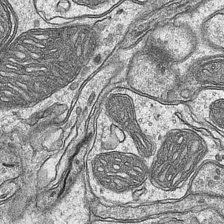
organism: Mouse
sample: CA1 Hippocampus